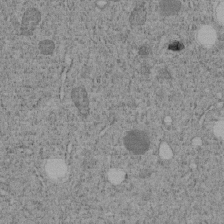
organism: C. elegans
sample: C. elegans embryo early stage